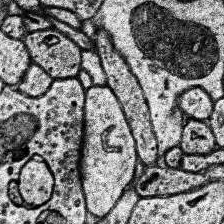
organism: Human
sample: Temporal Lobe